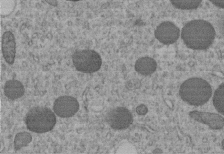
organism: C. elegans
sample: C. elegans embryo early stage